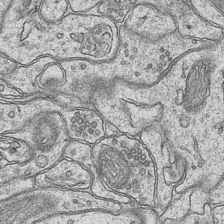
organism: Mouse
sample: CA1 Hippocampus